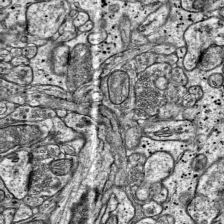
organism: Mouse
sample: Visual Cortex